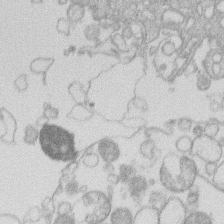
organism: Human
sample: Macrophage cells